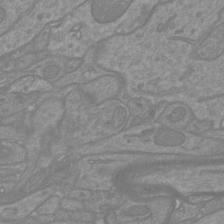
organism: Mouse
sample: Cortical neurons